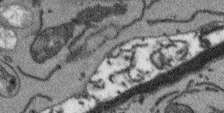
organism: Arabidopsis thaliana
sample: Root tip